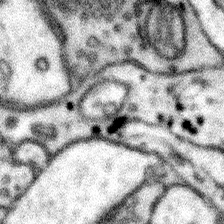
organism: Mouse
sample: Somatosensory cortex neuropil